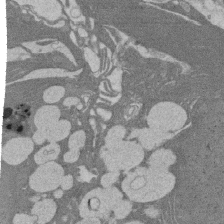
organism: Rat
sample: Salivary granule